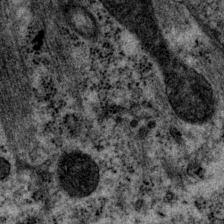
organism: P. pacificus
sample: Pharynx